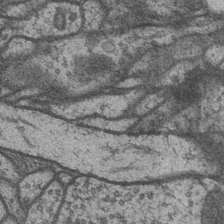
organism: Drosophila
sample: Optic medulla